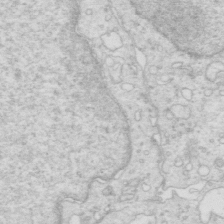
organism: Mouse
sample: Multiciliated cells